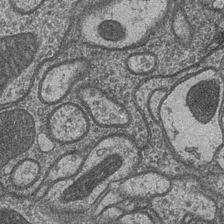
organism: Drosophila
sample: Optic medulla